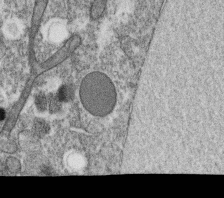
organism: C. elegans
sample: C. elegans oocyte; sperm cells